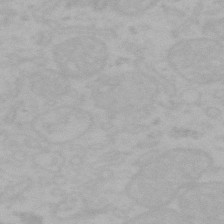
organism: Mouse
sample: Choroid plexus